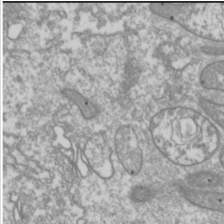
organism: Drosophila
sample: Cell division; meiosis; drosophila spermatocytes